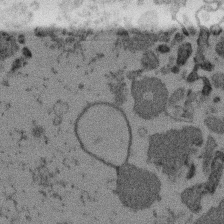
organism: Mouse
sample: Dividing mouse embryo 1 cell stage